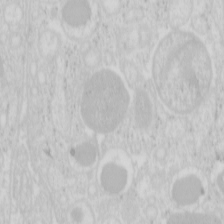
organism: Mouse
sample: Pancreas